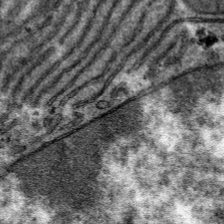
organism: Mouse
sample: Mouse hepatocytes